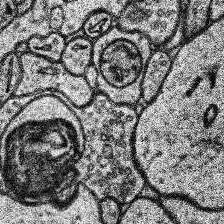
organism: Human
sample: Temporal Lobe